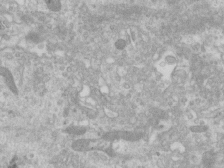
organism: Human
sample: Centriole in RPE cells